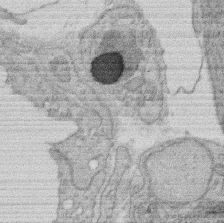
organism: Rat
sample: Salivary granule